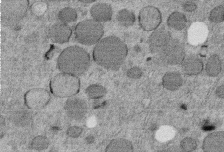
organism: C. elegans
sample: C. elegans embryo early stage